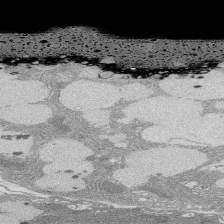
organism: Rat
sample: Salivary granule